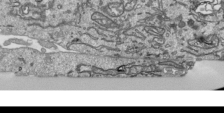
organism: Human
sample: Mitochondria in HCT116 cells